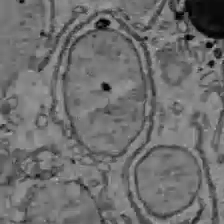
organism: C57BL Mouse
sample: Liver